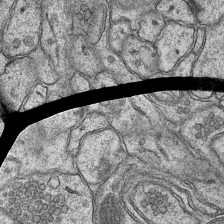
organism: Mouse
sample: CA1 Hippocampus